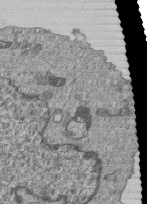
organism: Human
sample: MDA-MB-231 cells